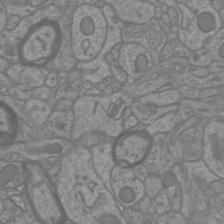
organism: Mouse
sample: Cortical neurons